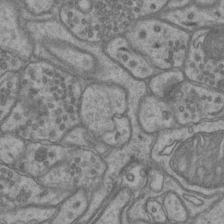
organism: Mouse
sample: CA1 Hippocampus